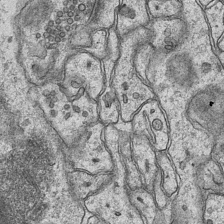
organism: Mouse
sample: CA1 Hippocampus